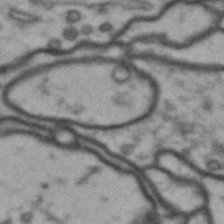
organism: Drosophila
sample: Brain